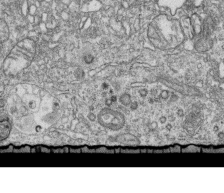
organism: Human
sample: HeLa cell HIV synapse